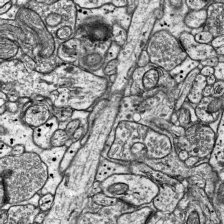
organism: Mouse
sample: Visual Cortex